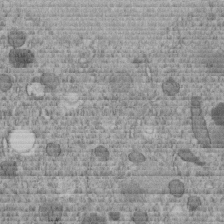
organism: C. elegans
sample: C. elegans embryo early stage